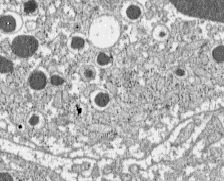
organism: C57BL Mouse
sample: Pancreatic islet